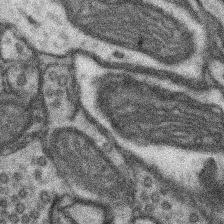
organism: Mouse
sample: Somatosensory cortex neuropil